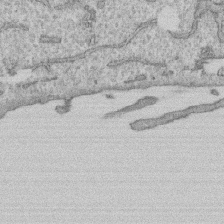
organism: Human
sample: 1205lu cells